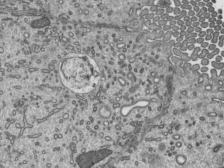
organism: Mouse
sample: Mouse epididymis efferent ductule cilia